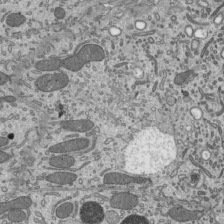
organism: Mouse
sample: Mouse epididymis efferent ductule cilia